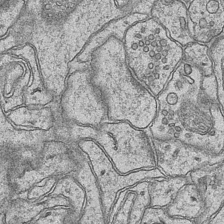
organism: Mouse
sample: CA1 Hippocampus